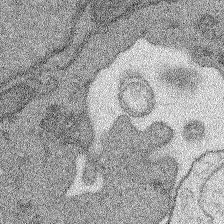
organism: Human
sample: HeLa cells